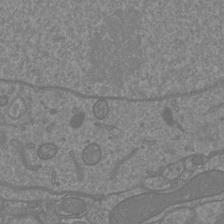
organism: Mouse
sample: Cortical neurons